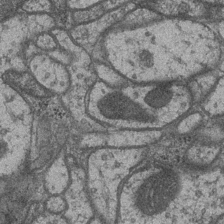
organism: Drosophila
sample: Optic medulla